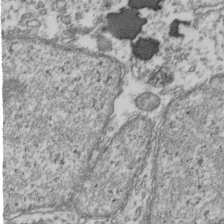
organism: Human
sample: Activated Jurkat CD4+ T cells